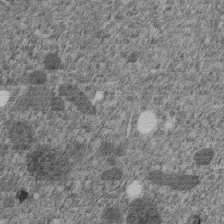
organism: C. elegans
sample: C. elegans embryo early stage